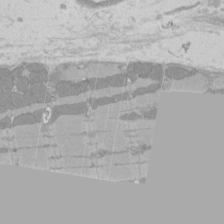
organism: Rat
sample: Left ventricle